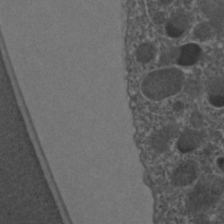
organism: C. elegans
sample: C. elegans embryo